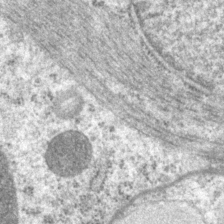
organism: P. pacificus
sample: Pharynx